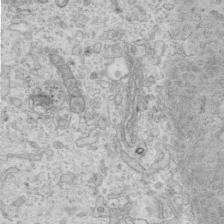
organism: Mouse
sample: Centriole in ependymal cells